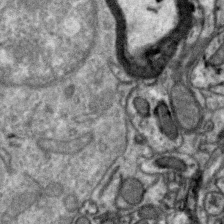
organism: Zebra finch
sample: Brain